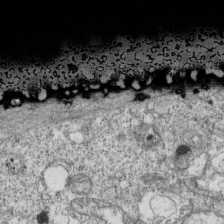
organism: Human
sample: HeLa cell HIV synapse